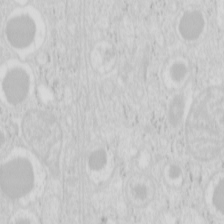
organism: Mouse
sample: Pancreas